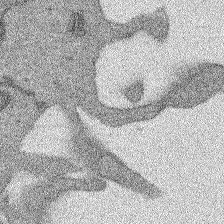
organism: Human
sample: HeLa cells